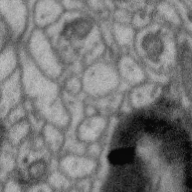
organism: Zebra finch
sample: Brain